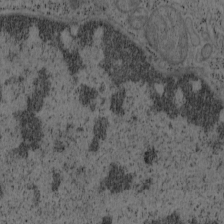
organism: Mouse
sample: OT-I killer T cells with ID8 ovarian cancer cells